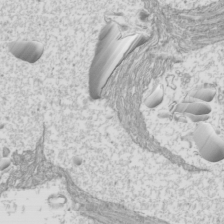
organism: Mouse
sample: Cilia; mouse epididymis